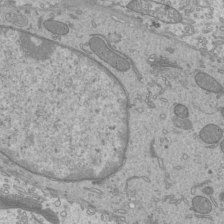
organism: Mouse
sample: Cilia; mouse epididymis